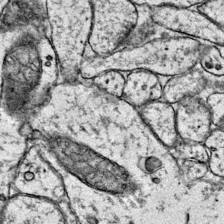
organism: Mouse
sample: Primary visual cortex